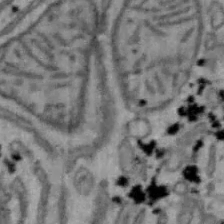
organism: Mouse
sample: Liver